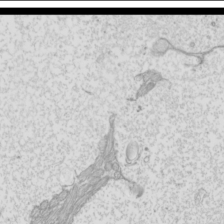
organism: Mouse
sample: Cilia; mouse epididymis